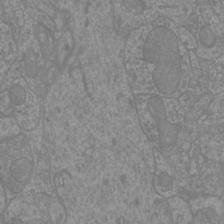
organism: Mouse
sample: Cortical neurons